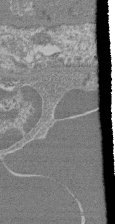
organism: Mouse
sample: Glomerulus